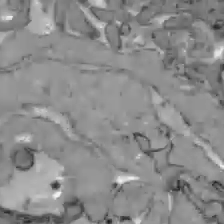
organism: C57BL Mouse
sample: Liver